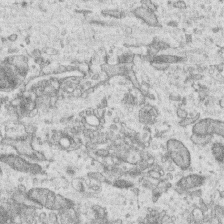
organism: Human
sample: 1205lu cells